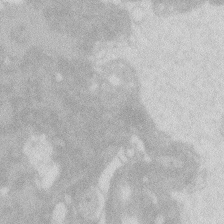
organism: Zebrafish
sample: Macrophage